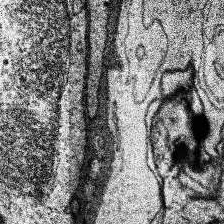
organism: Human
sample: Temporal Lobe